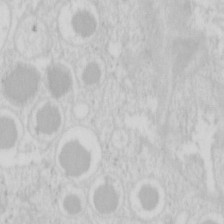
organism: Mouse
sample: Pancreas